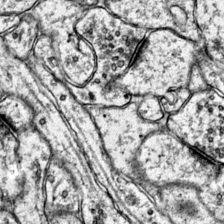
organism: Mouse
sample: Primary visual cortex